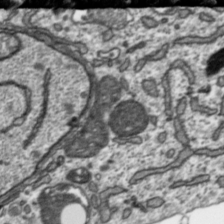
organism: Toxoplasma gondii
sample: Parasites in a vacuole inside a host cell